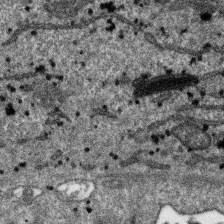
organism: Human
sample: Lung epithelial cells infected with SARS-CoV-2